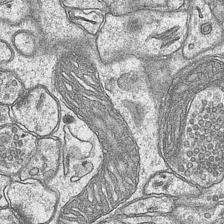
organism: Mouse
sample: CA1 Hippocampus